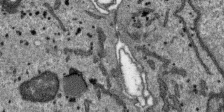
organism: Human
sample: Lung epithelial cells, uninfected (mock) control